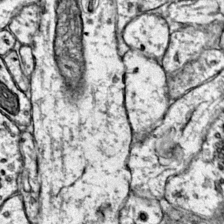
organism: Mouse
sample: Primary visual cortex